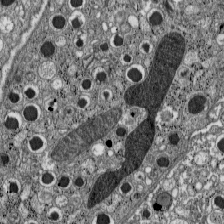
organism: C57BL Mouse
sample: Pancreatic islet